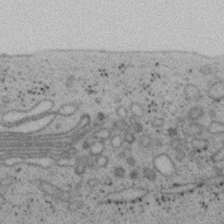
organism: Human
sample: HeLa cells